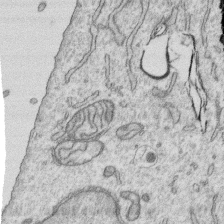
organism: Human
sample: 1205lu cells